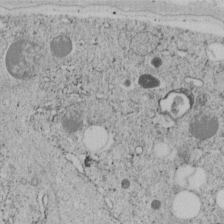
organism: C. elegans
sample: C. elegans embryo early stage